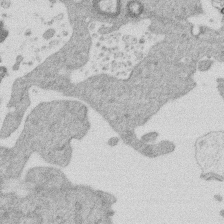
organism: Mouse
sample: Dividing mouse embryo 1 cell stage